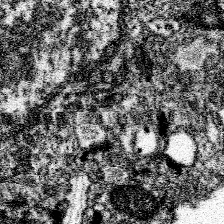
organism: Spongilla lacustris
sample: Neuroid cell